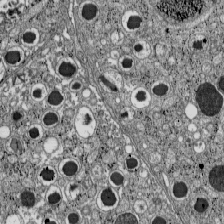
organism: C57BL Mouse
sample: Pancreatic islet